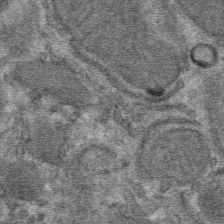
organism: Mouse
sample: Mouse hepatocytes